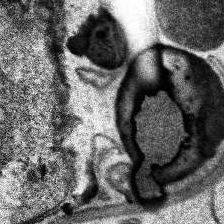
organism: Human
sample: Temporal Lobe